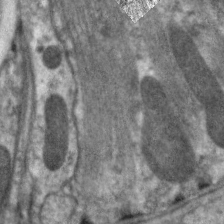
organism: C. elegans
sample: Pharynx